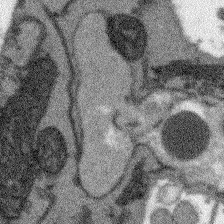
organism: Arabidopsis thaliana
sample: Root tip